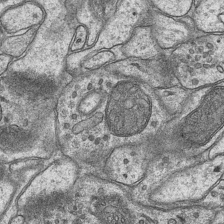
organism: Mouse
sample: CA1 Hippocampus